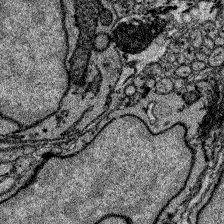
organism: Zebrafish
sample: Larval olfactory bulb